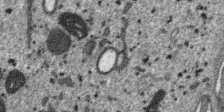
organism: Human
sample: Lung epithelial cells infected with SARS-CoV-2